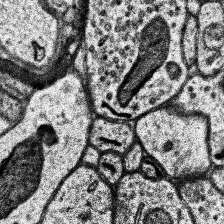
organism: Human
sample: Temporal Lobe